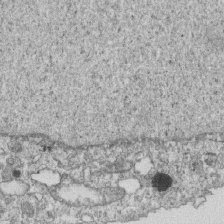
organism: Human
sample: HeLa cell HIV synapse